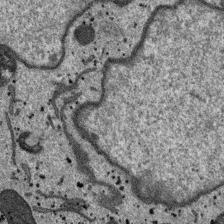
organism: Human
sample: Lung epithelial cells, uninfected (mock) control